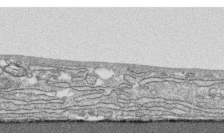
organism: Human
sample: CRL-1474